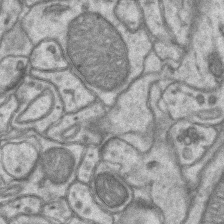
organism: Mouse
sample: CA1 Hippocampus